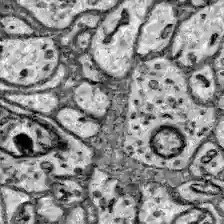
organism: Zebrafish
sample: Brain